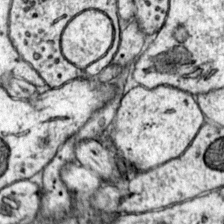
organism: Mouse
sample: Primary visual cortex